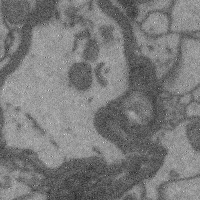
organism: Mouse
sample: Cerebral cortex